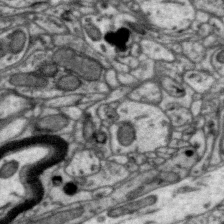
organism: Zebra finch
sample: Brain